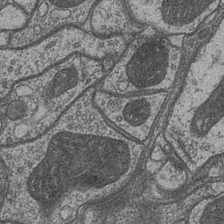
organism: Drosophila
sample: Optic medulla